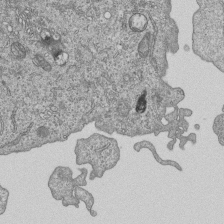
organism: Human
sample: MDA-MB-231 cells